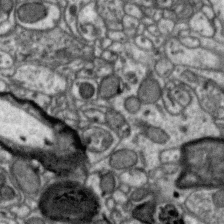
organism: Zebra finch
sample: Brain